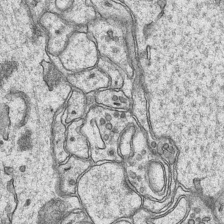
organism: Mouse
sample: CA1 Hippocampus